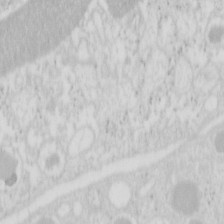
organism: Mouse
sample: Pancreas